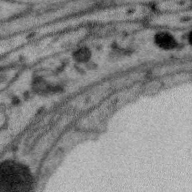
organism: Zebra finch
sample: Brain